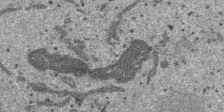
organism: Human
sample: Lung epithelial cells infected with SARS-CoV-2